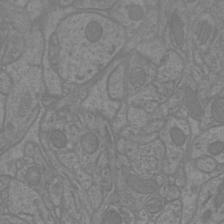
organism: Mouse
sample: Cortical neurons